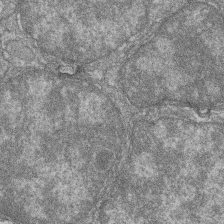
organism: Zebrafish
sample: Cilia; retinal pigment epithelium